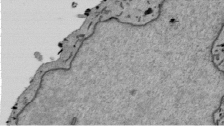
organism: Mouse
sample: ED-1 cell nuclei; centrioles